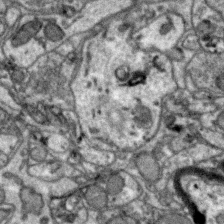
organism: Zebra finch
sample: Brain